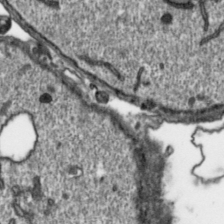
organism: Toxoplasma gondii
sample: Parasites in a vacuole inside a host cell